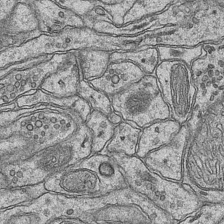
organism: Mouse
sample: CA1 Hippocampus